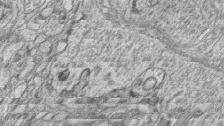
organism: Zebrafish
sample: synaptic ribbons in rod cells and cone cells